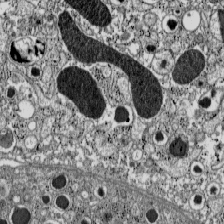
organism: C57BL Mouse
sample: Pancreatic islet